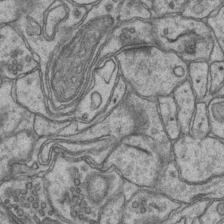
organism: Mouse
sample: CA1 Hippocampus